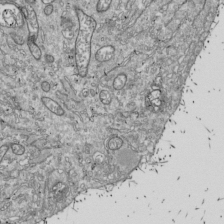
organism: Drosophila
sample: Cell division; meiosis; drosophila spermatocytes